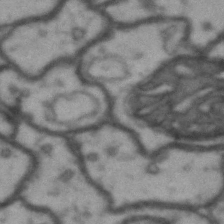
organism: Drosophila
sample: Brain